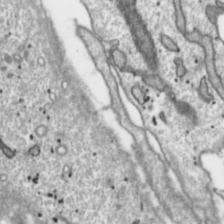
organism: Toxoplasma gondii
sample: Parasites in a vacuole inside a host cell